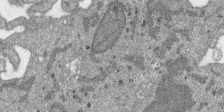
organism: Human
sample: Lung epithelial cells infected with SARS-CoV-2